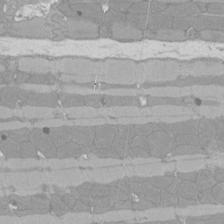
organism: Rat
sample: Left ventricle